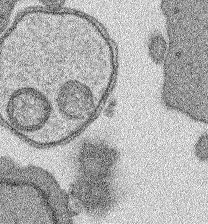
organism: Human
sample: HeLa cells